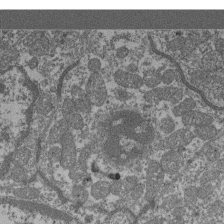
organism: Mouse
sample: Glomerulus